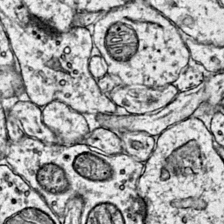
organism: Mouse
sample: Primary visual cortex